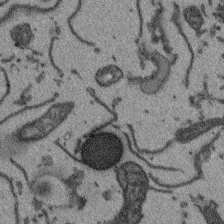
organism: Arabidopsis thaliana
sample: Root tip